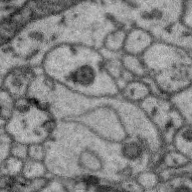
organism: Zebra finch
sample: Brain